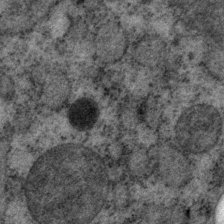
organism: P. pacificus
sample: Pharynx